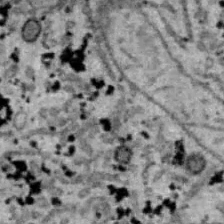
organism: Mouse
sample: Liver from an obese (ob/ob) mouse